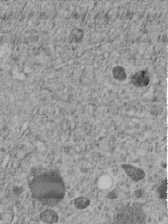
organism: C. elegans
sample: C. elegans embryo early stage